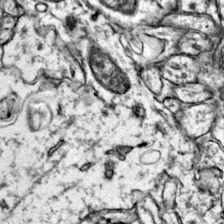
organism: Mouse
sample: Primary visual cortex